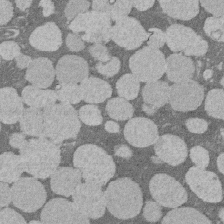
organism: Rat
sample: Salivary granule